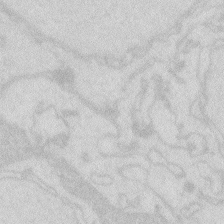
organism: Zebrafish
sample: Macrophage